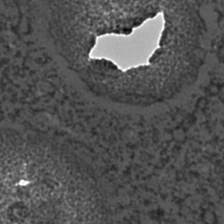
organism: C. elegans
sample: C. elegans embryo